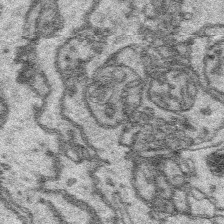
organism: Platynereis dumerilii